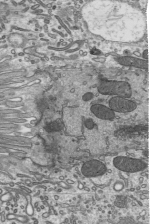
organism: Mouse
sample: Mouse epididymis efferent ductule cilia